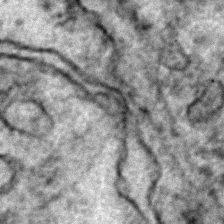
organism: Zebrafish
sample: Zebrafish embryo